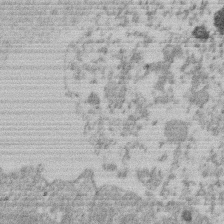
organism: Mouse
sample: Dividing mouse embryo 1 cell stage